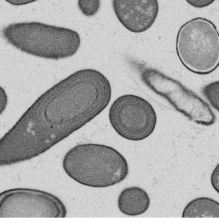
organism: B. subtilis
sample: Bacterial spore